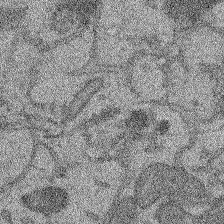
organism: Human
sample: HeLa cells